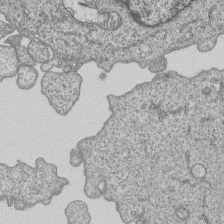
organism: Human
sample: MDA-MB-231 cells